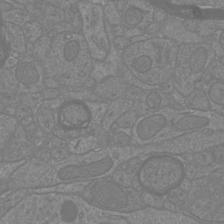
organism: Mouse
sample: Cortical neurons